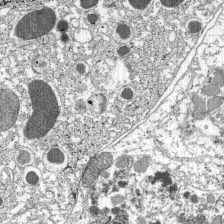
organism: C57BL Mouse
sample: Pancreatic islet